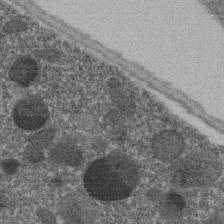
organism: C. elegans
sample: C. elegans embryo early stage